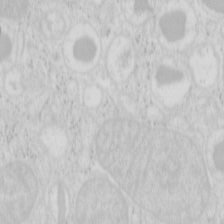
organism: Mouse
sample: Pancreas